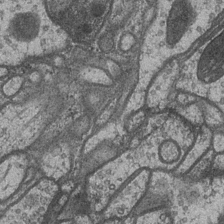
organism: Drosophila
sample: Optic medulla